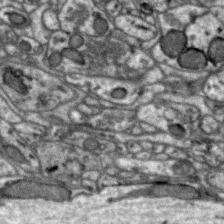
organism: Zebra finch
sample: Brain